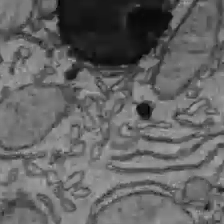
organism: C57BL Mouse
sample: Liver